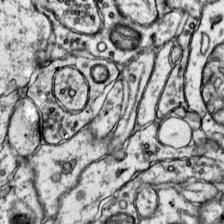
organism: Mouse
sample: Primary visual cortex